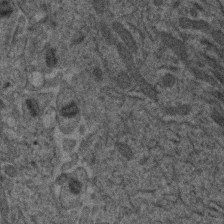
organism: Human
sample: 1205lu cells